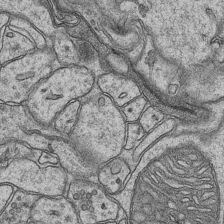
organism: Mouse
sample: CA1 Hippocampus